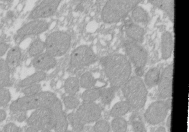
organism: Xenopus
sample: Cilia; centrioles in frog embryo cells